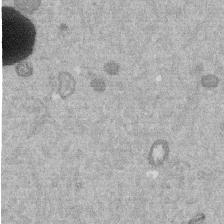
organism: Mouse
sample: Dividing mouse embryo 1 cell stage